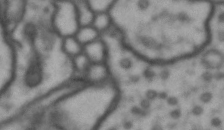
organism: Drosophila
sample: Brain